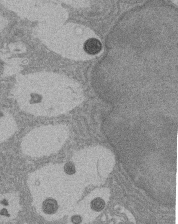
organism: Rat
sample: Salivary granule